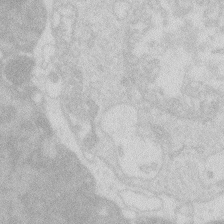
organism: Zebrafish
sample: Macrophage